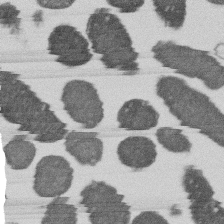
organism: E. coli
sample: Bacterial nucleoid